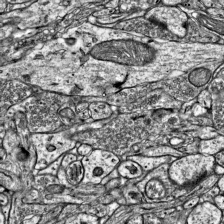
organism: Mouse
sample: Visual Cortex